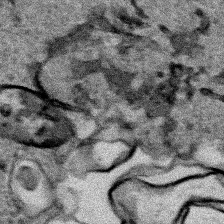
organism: Human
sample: Mitochondria in HCT116 cells